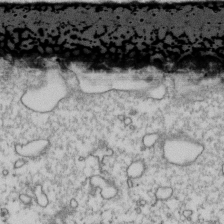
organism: Human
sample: Activated Jurkat CD4+ T cells